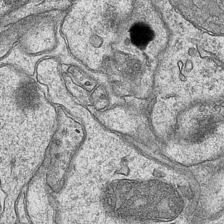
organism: Mouse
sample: CA1 Hippocampus